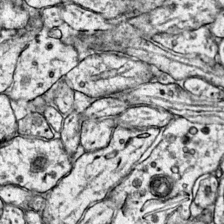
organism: Mouse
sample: Primary visual cortex